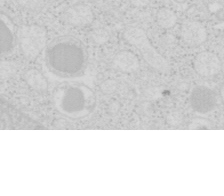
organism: Mouse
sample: Pancreas